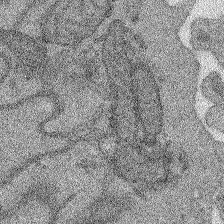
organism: Human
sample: HeLa cells